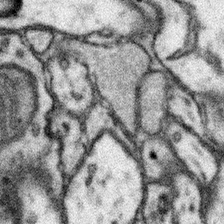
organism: Mouse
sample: Somatosensory cortex neuropil